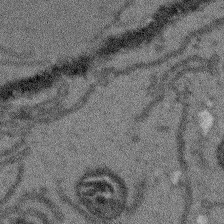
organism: Arabidopsis thaliana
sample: Root tip